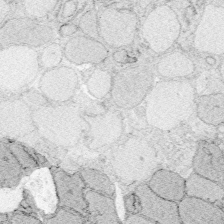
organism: Zebrafish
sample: Whole-Brain